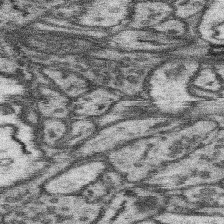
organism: Mouse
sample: Somatosensory cortex neuropil